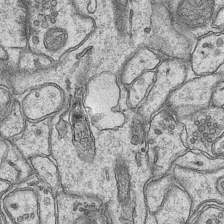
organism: Mouse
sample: CA1 Hippocampus